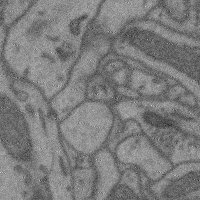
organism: Mouse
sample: Cerebral cortex